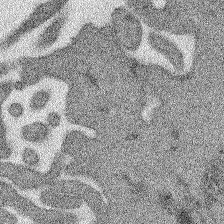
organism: Human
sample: HeLa cells